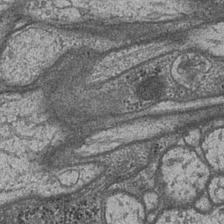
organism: Drosophila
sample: Optic medulla